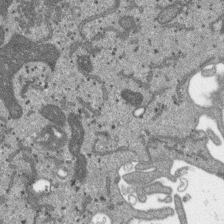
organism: Human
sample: Lung epithelial cells infected with SARS-CoV-2